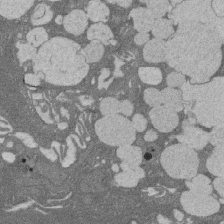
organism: Rat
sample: Salivary granule